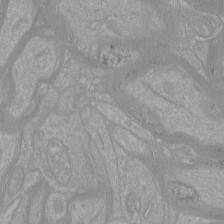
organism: Mouse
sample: Cortical neurons